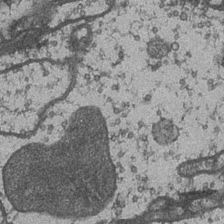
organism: Drosophila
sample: Optic medulla